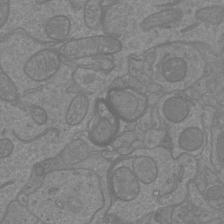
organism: Mouse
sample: Cortical neurons